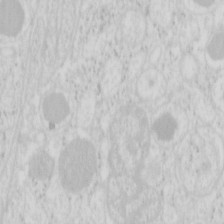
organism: Mouse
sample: Pancreas